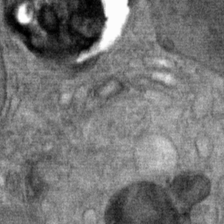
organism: Mouse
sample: Mouse Salivary gland